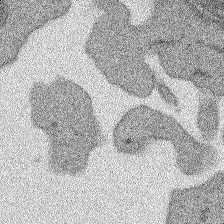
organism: Human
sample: HeLa cells